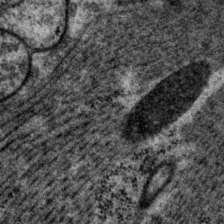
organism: P. pacificus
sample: Pharynx